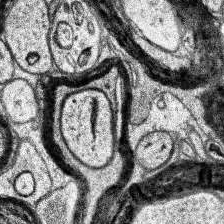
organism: Human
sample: Temporal Lobe